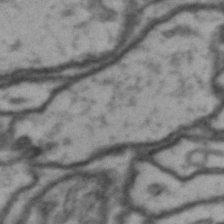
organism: Drosophila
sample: Brain